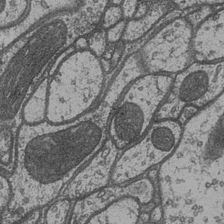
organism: Drosophila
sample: Optic medulla